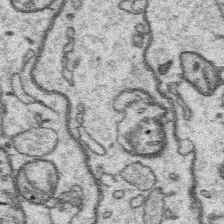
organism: Platynereis dumerilii